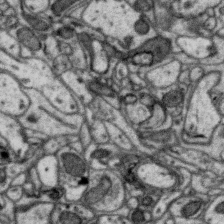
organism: Zebra finch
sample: Brain